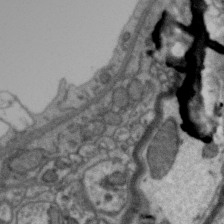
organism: Zebra finch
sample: Brain